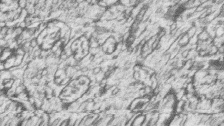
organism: Zebrafish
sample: synaptic ribbons in rod cells and cone cells